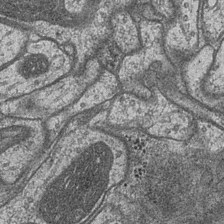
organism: Drosophila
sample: Optic medulla